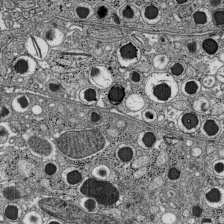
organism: C57BL Mouse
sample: Pancreatic islet